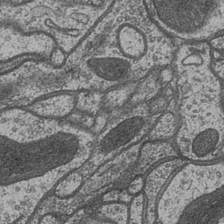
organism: Drosophila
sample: Optic medulla